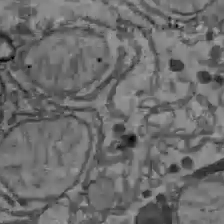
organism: C57BL Mouse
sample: Liver